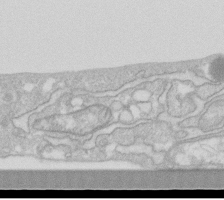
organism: Human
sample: Fibroblast cells